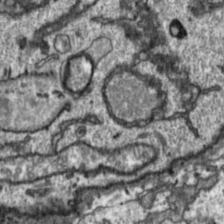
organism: Toxoplasma gondii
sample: Parasites in a vacuole inside a host cell